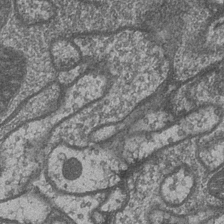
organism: Drosophila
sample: Optic medulla